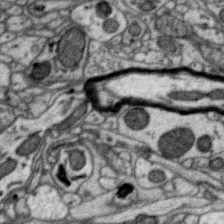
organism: Zebra finch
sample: Brain